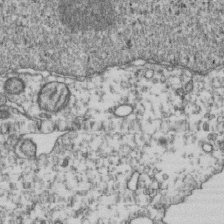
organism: Human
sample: Activated Jurkat CD4+ T cells